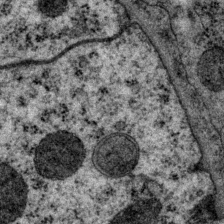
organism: P. pacificus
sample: Pharynx